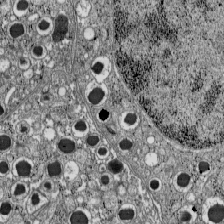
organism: C57BL Mouse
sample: Pancreatic islet